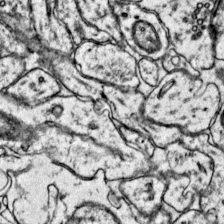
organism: Mouse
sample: Primary visual cortex